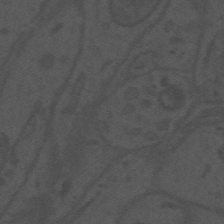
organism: Mouse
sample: Suprachiasmatic nucleus